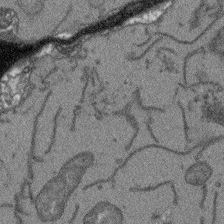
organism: Arabidopsis thaliana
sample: Root tip